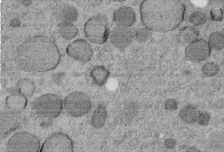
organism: C. elegans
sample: C. elegans embryo early stage